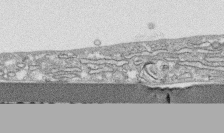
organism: Human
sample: CRL-1474